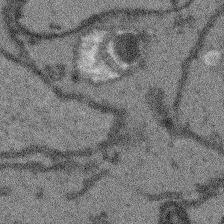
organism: Arabidopsis thaliana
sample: Root tip